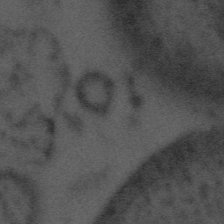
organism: Tuwongella immobilis